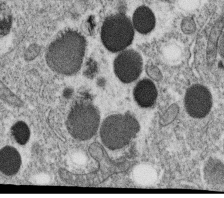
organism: C. elegans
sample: C. elegans oocyte; sperm cells